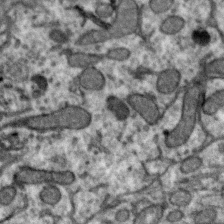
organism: Zebra finch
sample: Brain